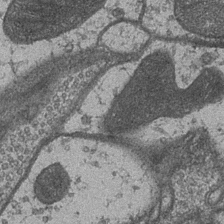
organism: Drosophila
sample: Optic medulla